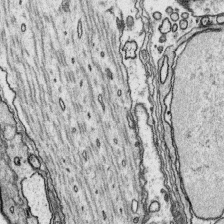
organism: Platynereis dumerilii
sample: Parapodia